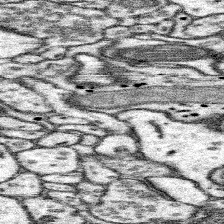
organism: Mouse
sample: Somatosensory cortex neuropil